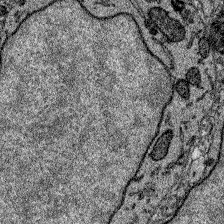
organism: Zebrafish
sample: Larval olfactory bulb